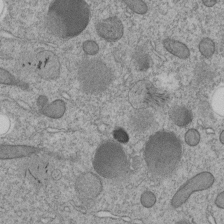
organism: C. elegans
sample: C. elegans embryo early stage